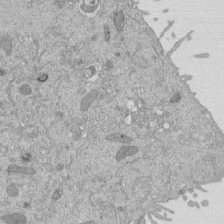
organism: Mouse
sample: ED-1 cell nuclei; centrioles